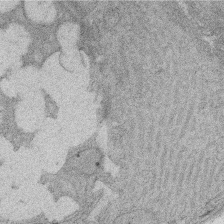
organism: Rat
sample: Salivary granule